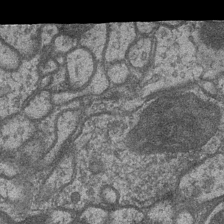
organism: Drosophila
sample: Optic medulla